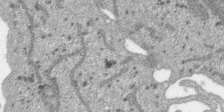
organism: Human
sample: Lung epithelial cells infected with SARS-CoV-2